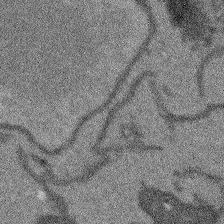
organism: Arabidopsis thaliana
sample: Root tip